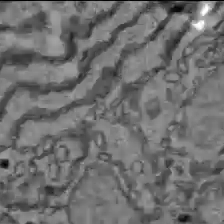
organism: C57BL Mouse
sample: Liver